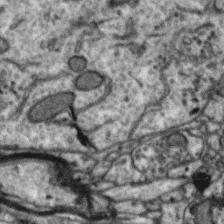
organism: Zebra finch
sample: Brain